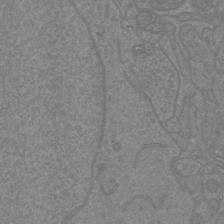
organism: Mouse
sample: Cortical neurons